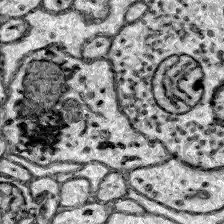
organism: Zebrafish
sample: Brain